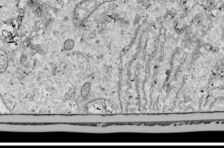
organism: Drosophila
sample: Cell division; meiosis; drosophila spermatocytes